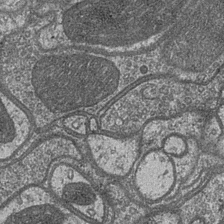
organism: Drosophila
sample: Optic medulla